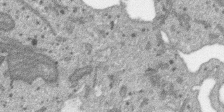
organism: Human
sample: Lung epithelial cells infected with SARS-CoV-2